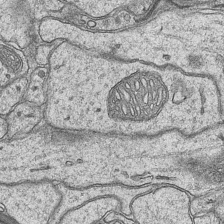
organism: Mouse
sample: CA1 Hippocampus